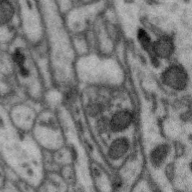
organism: Zebra finch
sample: Brain